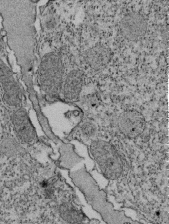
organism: Tetrahymena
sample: Cilia in tetrahymena